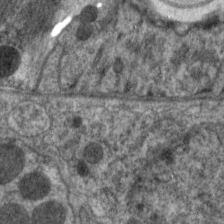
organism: C. elegans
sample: Pharynx